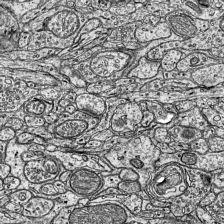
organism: Mouse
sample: Visual Cortex